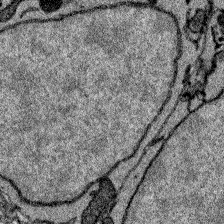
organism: Zebrafish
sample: Larval olfactory bulb